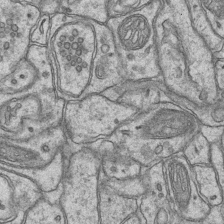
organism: Mouse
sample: CA1 Hippocampus